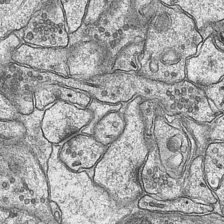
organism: Mouse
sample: CA1 Hippocampus